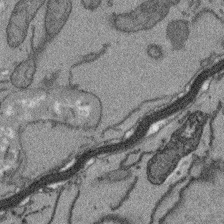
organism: Arabidopsis thaliana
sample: Root tip